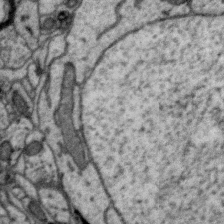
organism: Zebra finch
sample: Brain